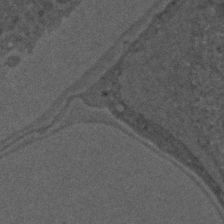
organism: C. elegans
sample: C. elegans embryo